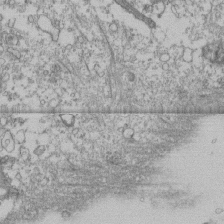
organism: Human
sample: Fibroblast cells